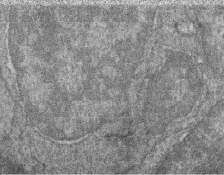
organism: Zebrafish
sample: Cilia; retinal pigment epithelium